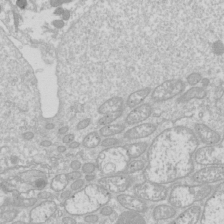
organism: Drosophila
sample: Cell division; meiosis; drosophila spermatocytes